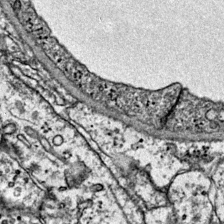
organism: Mouse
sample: Primary visual cortex